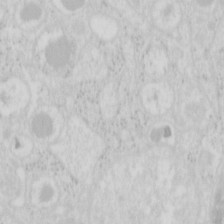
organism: Mouse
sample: Pancreas